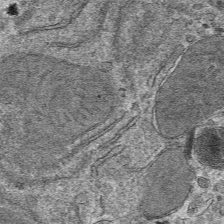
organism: Mouse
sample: Mouse hepatocytes